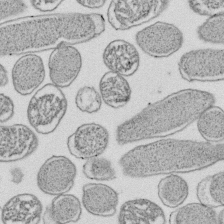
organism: E. coli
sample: Bacterial nucleoid